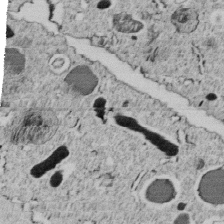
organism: C. elegans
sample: C. elegans embryo early stage